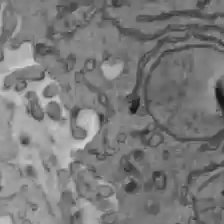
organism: C57BL Mouse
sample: Liver